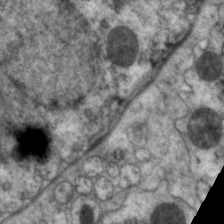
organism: C. elegans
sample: Pharynx